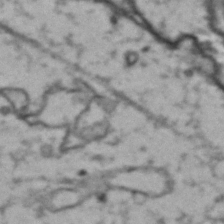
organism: Drosophila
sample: Brain